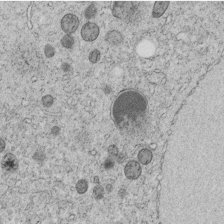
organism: C. elegans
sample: C. elegans embryo early stage